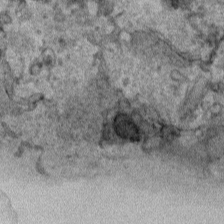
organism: Human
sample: Mitochondria in HCT116 cells